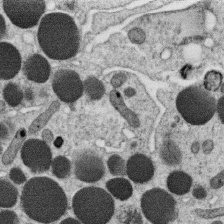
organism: C. elegans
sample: C. elegans oocyte; sperm cells